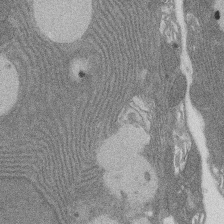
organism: Rat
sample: Salivary granule